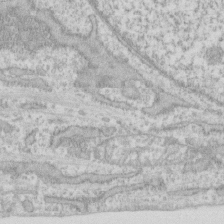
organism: Human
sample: Fibroblast cells